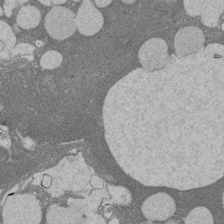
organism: Rat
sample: Salivary granule